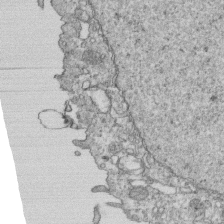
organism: Human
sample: HeLa cell HIV synapse